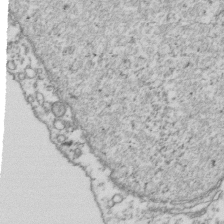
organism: Human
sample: Activated Jurkat CD4+ T cells